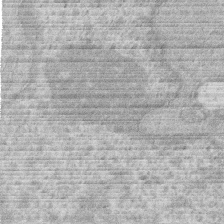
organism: Human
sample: Macrophage cells